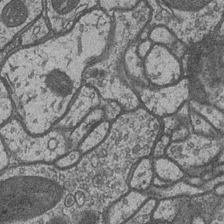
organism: Drosophila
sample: Optic medulla